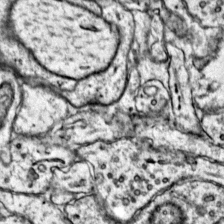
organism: Mouse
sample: Primary visual cortex